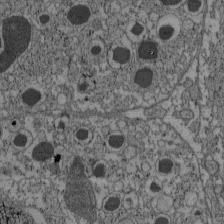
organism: C57BL Mouse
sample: Pancreatic islet